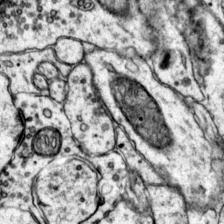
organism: Mouse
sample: Primary visual cortex